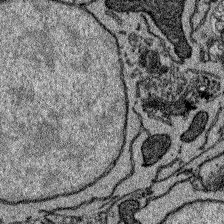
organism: Zebrafish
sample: Larval olfactory bulb